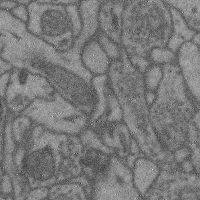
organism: Mouse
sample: Cerebral cortex